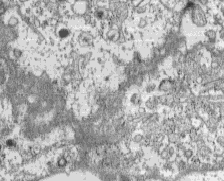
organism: C57BL Mouse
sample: Pancreatic islet